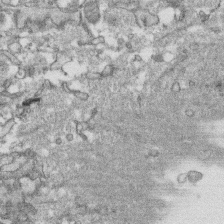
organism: Human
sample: CRL-1474